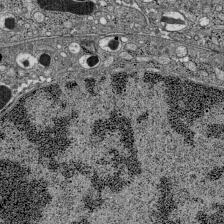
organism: C57BL Mouse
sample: Pancreatic islet